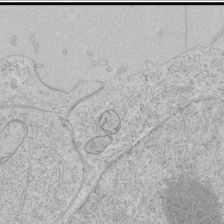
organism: Human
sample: Mitochondria in HCT116 cells